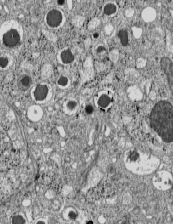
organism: C57BL Mouse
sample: Pancreatic islet